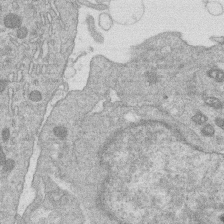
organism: Human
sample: Macrophage cells